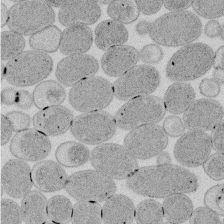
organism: E. coli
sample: Bacterial nucleoid